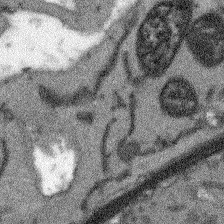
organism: Arabidopsis thaliana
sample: Root tip